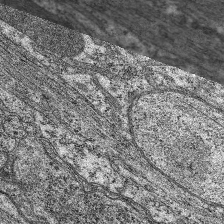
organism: C. elegans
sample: Pharynx